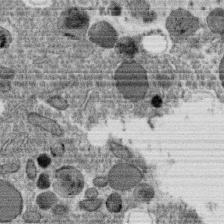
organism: C. elegans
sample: C. elegans oocyte; sperm cells